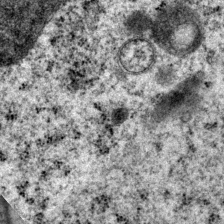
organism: P. pacificus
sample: Pharynx